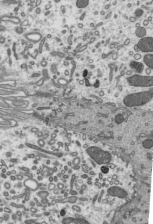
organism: Mouse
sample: Mouse epididymis efferent ductule cilia